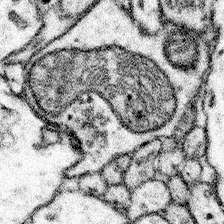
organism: Mouse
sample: Somatosensory cortex neuropil